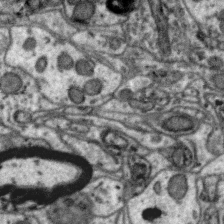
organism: Zebra finch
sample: Brain